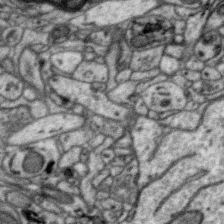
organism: Zebra finch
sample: Brain